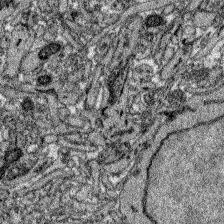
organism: Zebrafish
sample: Larval olfactory bulb